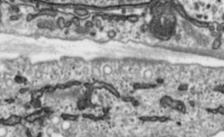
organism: Toxoplasma gondii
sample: Parasites in a vacuole inside a host cell